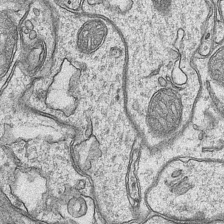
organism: Mouse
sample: CA1 Hippocampus